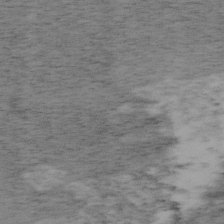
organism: Mouse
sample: OT-I killer T cells with ID8 ovarian cancer cells